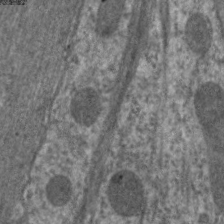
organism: C. elegans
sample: Pharynx